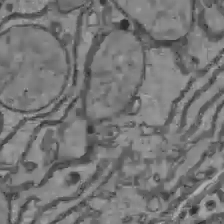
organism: C57BL Mouse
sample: Liver